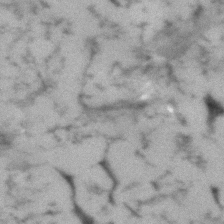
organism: Human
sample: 1205lu cells